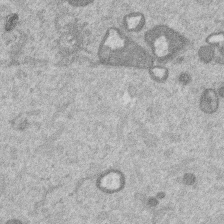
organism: Mouse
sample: Dividing mouse embryo 1 cell stage